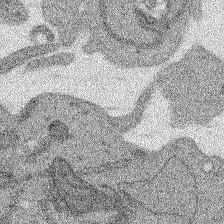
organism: Human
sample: HeLa cells